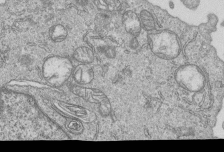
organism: Human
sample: MDA-MB-231 cells